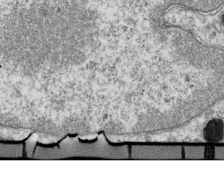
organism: Mouse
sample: Activated OT-1 CD8+ T cells